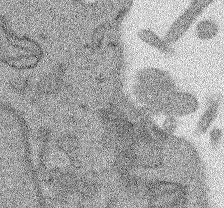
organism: Human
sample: HeLa cells